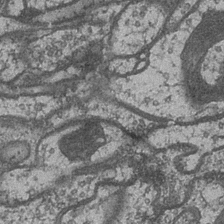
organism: Drosophila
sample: Optic medulla